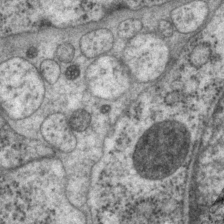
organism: P. pacificus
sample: Pharynx